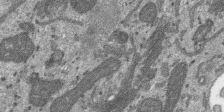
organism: Human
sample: Lung epithelial cells infected with SARS-CoV-2